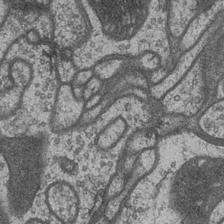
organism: Drosophila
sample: Optic medulla